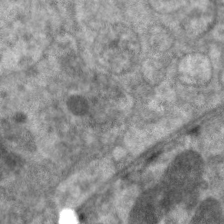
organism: C. elegans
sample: Pharynx